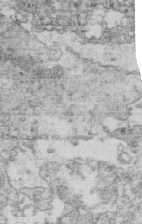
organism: Mouse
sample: Multiciliated cells